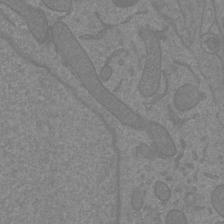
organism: Mouse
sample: Cortical neurons